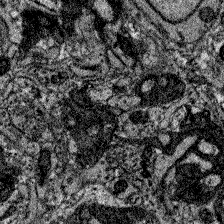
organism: Zebrafish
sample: Larval olfactory bulb